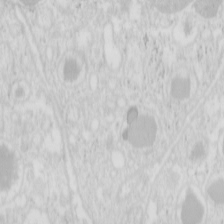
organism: Mouse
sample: Pancreas